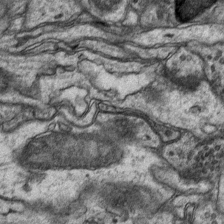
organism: Mouse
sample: CA1 Hippocampus